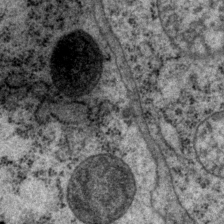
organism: P. pacificus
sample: Pharynx